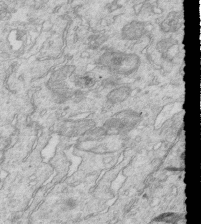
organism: Mouse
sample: Multiciliated cells